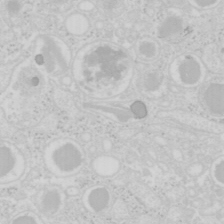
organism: Mouse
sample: Pancreas